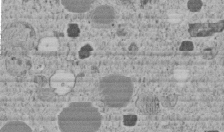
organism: C. elegans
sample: C. elegans embryo early stage